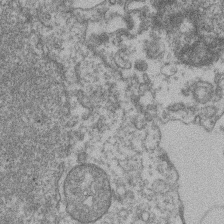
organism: Mouse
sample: T cell stromal cell synapse